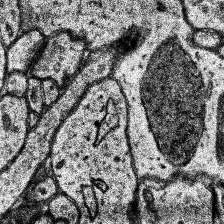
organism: Human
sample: Temporal Lobe